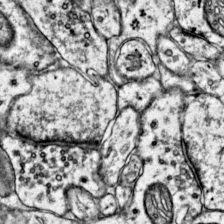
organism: Mouse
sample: Primary visual cortex